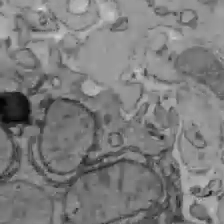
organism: C57BL Mouse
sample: Liver